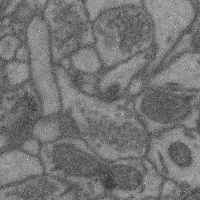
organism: Mouse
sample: Cerebral cortex